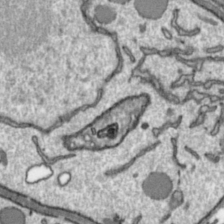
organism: Toxoplasma gondii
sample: Parasites in a vacuole inside a host cell